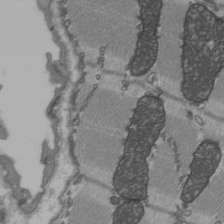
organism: C57BL Mouse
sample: Heart